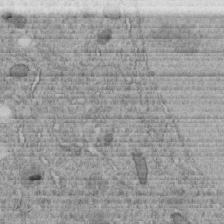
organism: C. elegans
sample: C. elegans embryo early stage